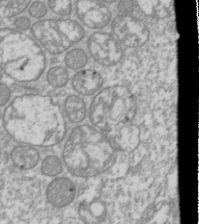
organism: Drosophila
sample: Cell division; meiosis; drosophila spermatocytes